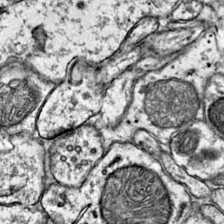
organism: Mouse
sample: Primary visual cortex